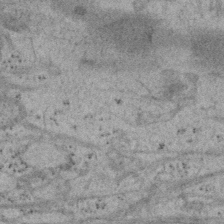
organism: Human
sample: HeLa cells